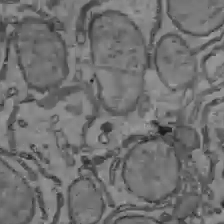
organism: C57BL Mouse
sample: Liver